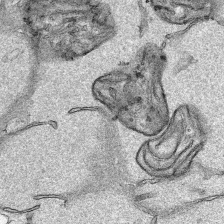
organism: Human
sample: Mitochondria in HCT116 cells